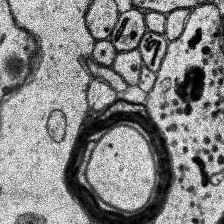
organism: Human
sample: Temporal Lobe